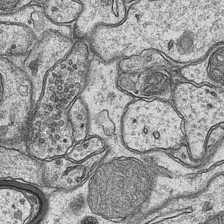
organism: Mouse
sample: CA1 Hippocampus